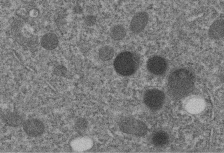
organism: C. elegans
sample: C. elegans embryo early stage